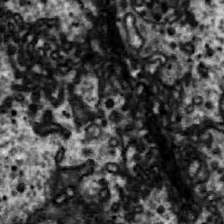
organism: Human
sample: HeLa cells